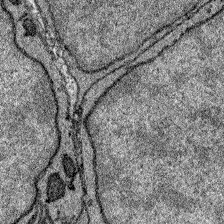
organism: Zebrafish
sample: Larval olfactory bulb